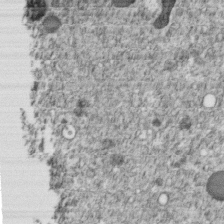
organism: C. elegans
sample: C. elegans embryo early stage